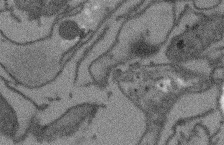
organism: Arabidopsis thaliana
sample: Root tip